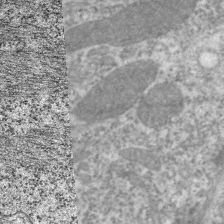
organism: C. elegans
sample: Pharynx